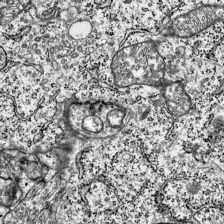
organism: Mouse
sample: Visual Cortex